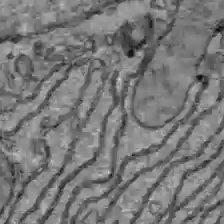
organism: C57BL Mouse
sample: Liver